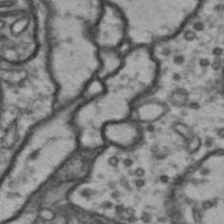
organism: Drosophila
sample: Brain